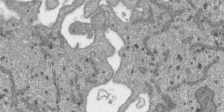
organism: Human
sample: Lung epithelial cells infected with SARS-CoV-2